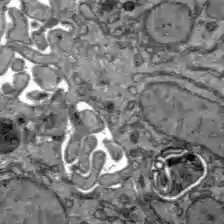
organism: C57BL Mouse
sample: Liver